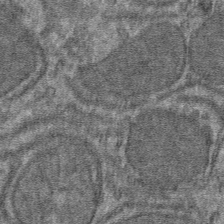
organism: Mouse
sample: Mouse hepatocytes